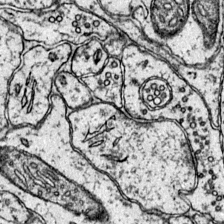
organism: Mouse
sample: Primary visual cortex